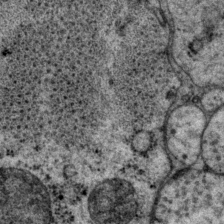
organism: P. pacificus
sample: Pharynx